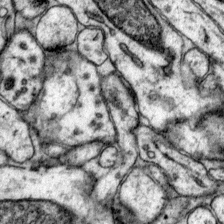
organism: Mouse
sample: Primary visual cortex